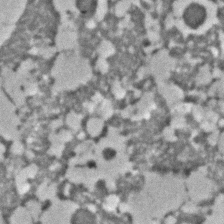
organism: C. elegans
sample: C. elegans embryo